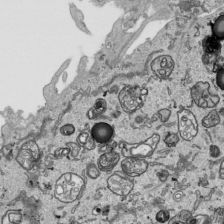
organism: Human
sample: Mitochondria in HCT116 cells